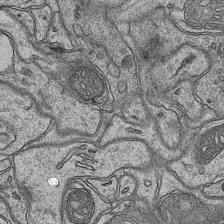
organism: Mouse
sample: CA1 Hippocampus